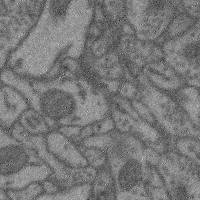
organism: Mouse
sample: Cerebral cortex